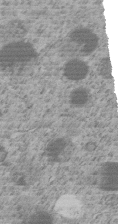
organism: C. elegans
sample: C. elegans embryo early stage